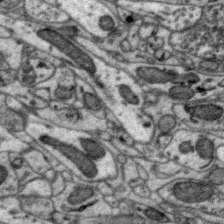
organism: Zebra finch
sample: Brain